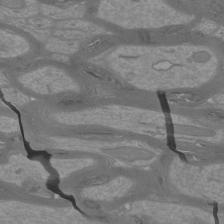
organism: Mouse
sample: Cortical neurons